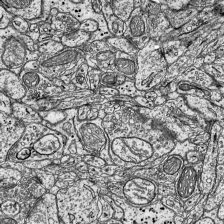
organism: Mouse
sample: Visual Cortex